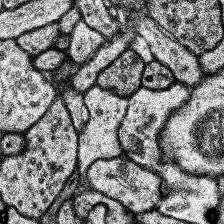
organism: Human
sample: Temporal Lobe